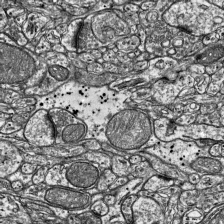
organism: Mouse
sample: Visual Cortex